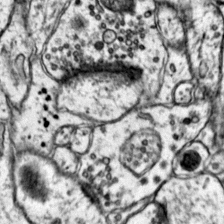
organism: Mouse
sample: Primary visual cortex